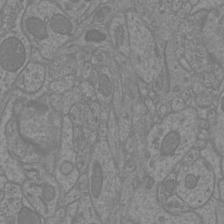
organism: Mouse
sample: Cortical neurons